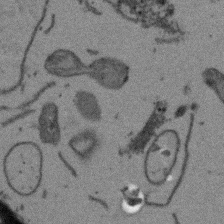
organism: Arabidopsis thaliana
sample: Root tip